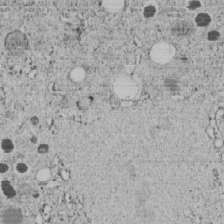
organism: C. elegans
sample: C. elegans embryo early stage